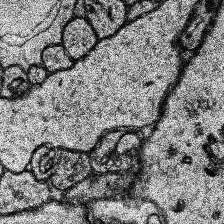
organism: Human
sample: Temporal Lobe